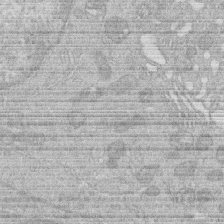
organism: Human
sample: Macrophage cells